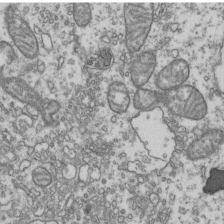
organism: Human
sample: Activated Jurkat CD4+ T cells